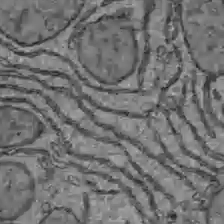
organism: C57BL Mouse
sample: Liver